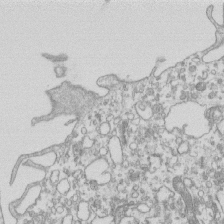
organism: Mouse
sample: Macrophages